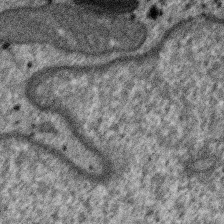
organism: Human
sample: Lung epithelial cells infected with SARS-CoV-2